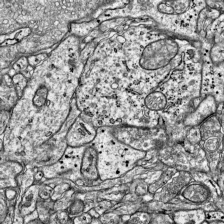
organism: Mouse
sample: Visual Cortex